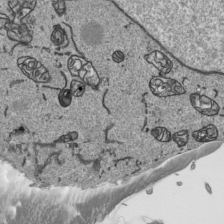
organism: Human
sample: Mitochondria in HCT116 cells